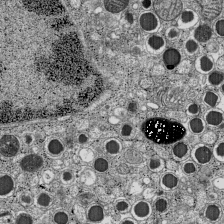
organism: C57BL Mouse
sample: Pancreatic islet